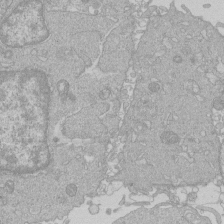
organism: Human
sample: Macrophage cells